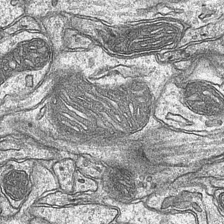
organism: Mouse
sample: CA1 Hippocampus